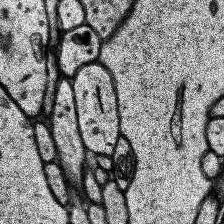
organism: Human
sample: Temporal Lobe